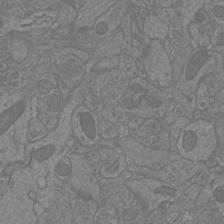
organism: Mouse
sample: Cortical neurons